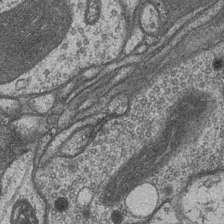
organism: Drosophila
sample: Optic medulla